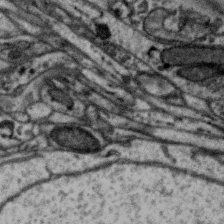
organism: Zebra finch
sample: Brain